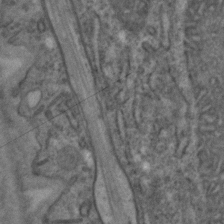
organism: C. elegans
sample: C. elegans embryo